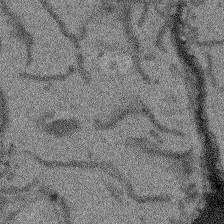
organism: Arabidopsis thaliana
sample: Root tip